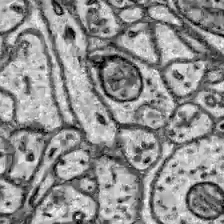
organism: Zebrafish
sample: Brain